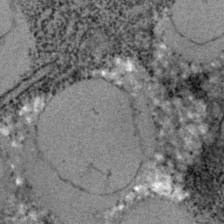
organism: C. elegans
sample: C. elegans embryo